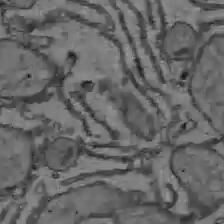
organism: C57BL Mouse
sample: Liver